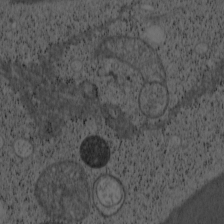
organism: African green monkey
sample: COS-7 cells